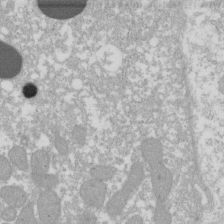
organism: Xenopus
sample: Cilia; centrioles in frog embryo cells